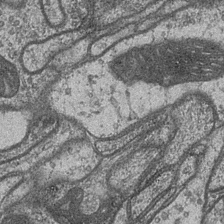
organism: Drosophila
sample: Optic medulla